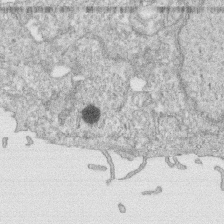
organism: Human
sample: HeLa cell HIV synapse